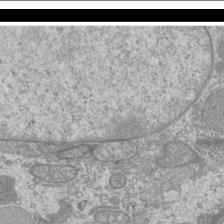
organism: Mouse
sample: Cilia; mouse epididymis